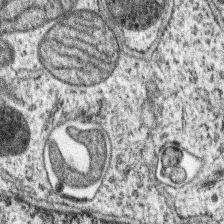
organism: Human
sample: HeLa cells